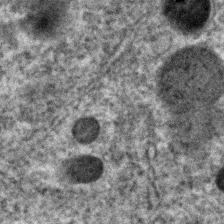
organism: C. elegans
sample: C. elegans embryo